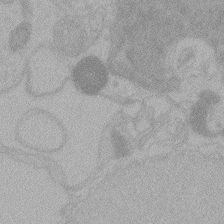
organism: Zebrafish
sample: Macrophage infected with Toxoplasma gondii